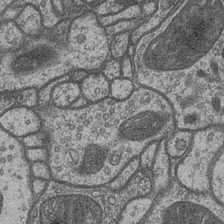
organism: Drosophila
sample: Optic medulla